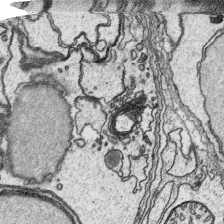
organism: Platynereis dumerilii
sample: Parapodia